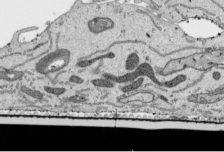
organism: Human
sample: Mitochondria in HCT116 cells